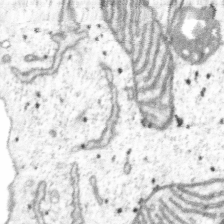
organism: Human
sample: HeLa cells